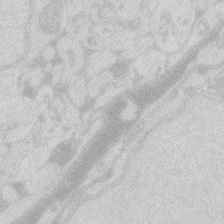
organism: Zebrafish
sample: Macrophage